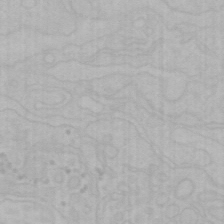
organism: Mouse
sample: Choroid plexus